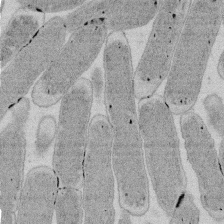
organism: E. coli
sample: Bacterial nucleoid